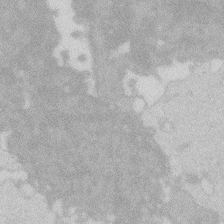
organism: Zebrafish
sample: Macrophage